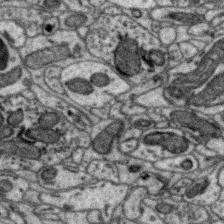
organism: Zebra finch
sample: Brain